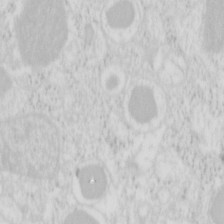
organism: Mouse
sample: Pancreas